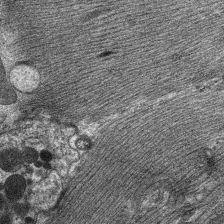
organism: C. elegans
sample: Pharynx